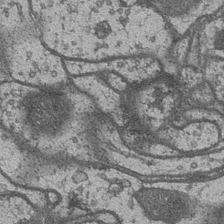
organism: Drosophila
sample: Optic medulla